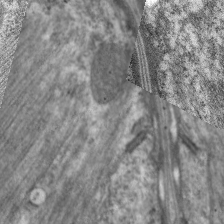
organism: C. elegans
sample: Pharynx